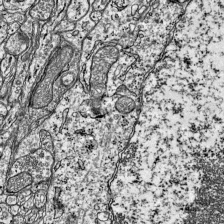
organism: Mouse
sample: Visual Cortex